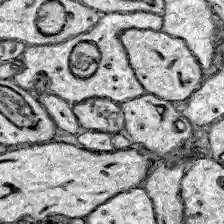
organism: Zebrafish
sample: Brain